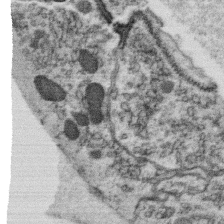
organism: C. elegans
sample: C. elegans oocyte; sperm cells